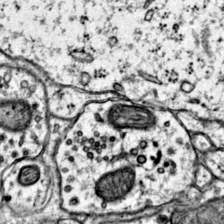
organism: Mouse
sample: Primary visual cortex